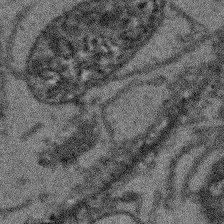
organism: Arabidopsis thaliana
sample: Root tip